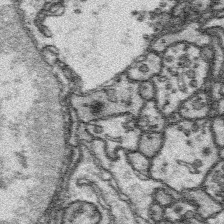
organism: Platynereis dumerilii